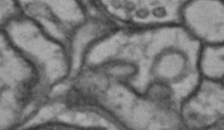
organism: Drosophila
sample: Brain